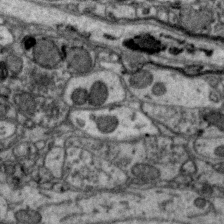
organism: Zebra finch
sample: Brain